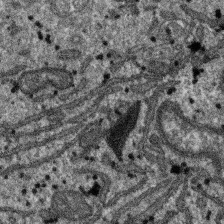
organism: Human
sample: Lung epithelial cells infected with SARS-CoV-2